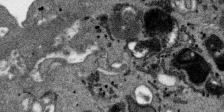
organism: Human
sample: Lung epithelial cells, uninfected (mock) control